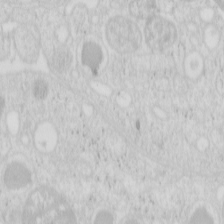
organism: Mouse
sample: Pancreas